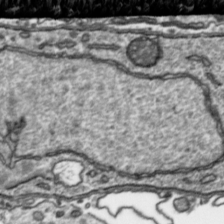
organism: Toxoplasma gondii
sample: Parasites in a vacuole inside a host cell